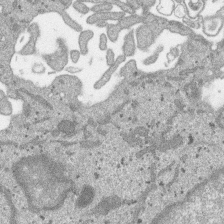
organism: Human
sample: Lung epithelial cells infected with SARS-CoV-2